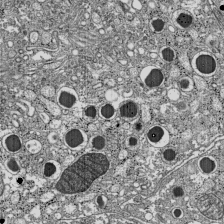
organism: C57BL Mouse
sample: Pancreatic islet